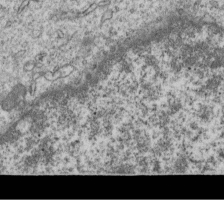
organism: Human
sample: MDA-MB-231 cells